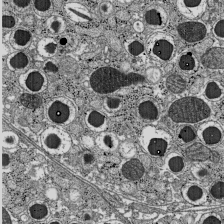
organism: C57BL Mouse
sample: Pancreatic islet